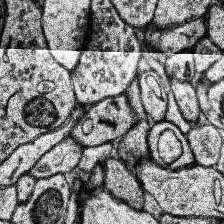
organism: Human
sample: Temporal Lobe